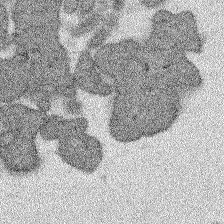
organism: Human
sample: HeLa cells